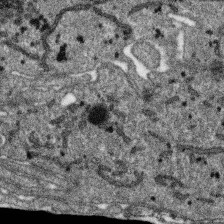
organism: Human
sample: Lung epithelial cells infected with SARS-CoV-2